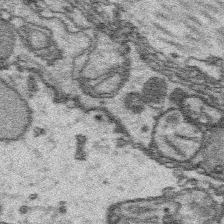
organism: Platynereis dumerilii